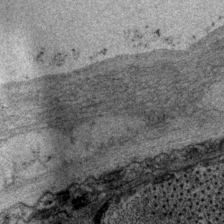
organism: P. pacificus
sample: Pharynx